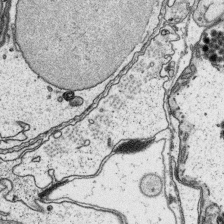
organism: Platynereis dumerilii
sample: Parapodia